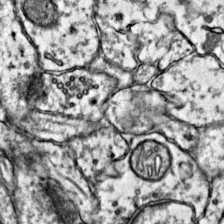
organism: Mouse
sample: Primary visual cortex